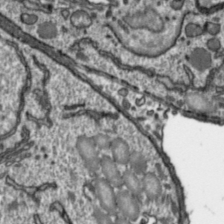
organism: Toxoplasma gondii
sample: Parasites in a vacuole inside a host cell